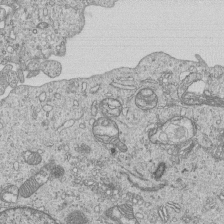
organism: Human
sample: MDA-MB-231 cells